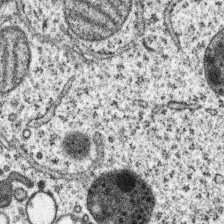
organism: Human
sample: HeLa cells